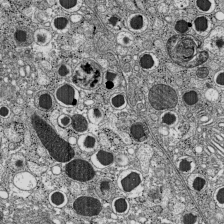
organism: C57BL Mouse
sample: Pancreatic islet